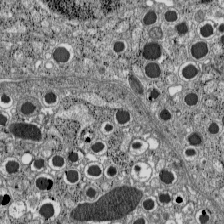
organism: C57BL Mouse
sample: Pancreatic islet